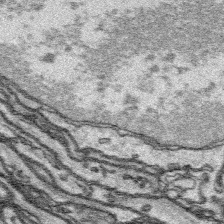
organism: Platynereis dumerilii